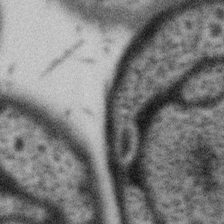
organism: Gemmata obscuriglobus